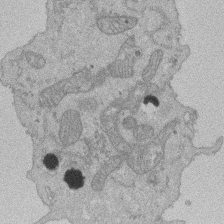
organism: Human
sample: Activated Jurkat CD4+ T cells